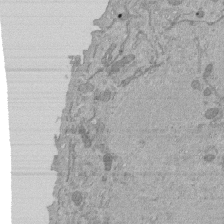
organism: Mouse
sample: ED-1 cell nuclei; centrioles